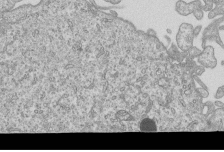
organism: Human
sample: MDA-MB-231 cells